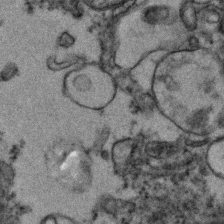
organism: Zebrafish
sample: Zebrafish embryo